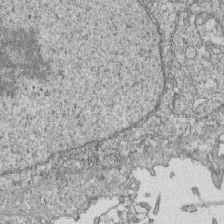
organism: Human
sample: HeLa cell HIV synapse